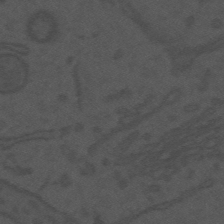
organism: Mouse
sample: Suprachiasmatic nucleus